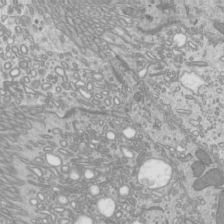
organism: Mouse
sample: Cilia; mouse epididymis